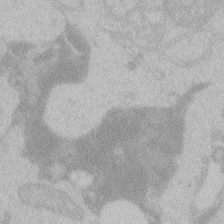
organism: Zebrafish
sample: Macrophage infected with Toxoplasma gondii